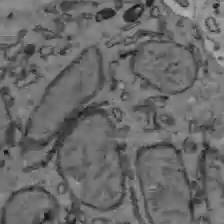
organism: C57BL Mouse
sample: Liver